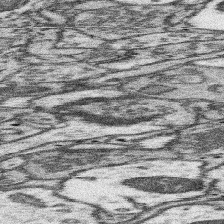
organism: Mouse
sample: Somatosensory cortex neuropil